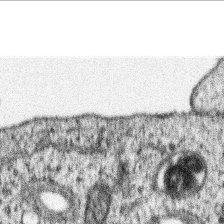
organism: Human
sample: HeLa cells